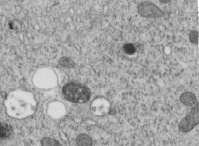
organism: C. elegans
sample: C. elegans embryo early stage